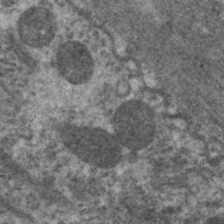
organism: C. elegans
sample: Pharynx